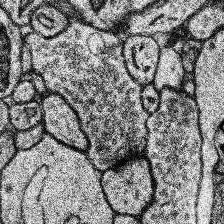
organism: Human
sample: Temporal Lobe